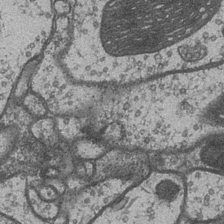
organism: Drosophila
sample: Optic medulla